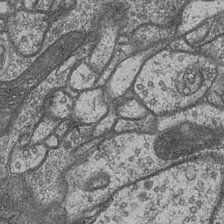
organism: Drosophila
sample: Optic medulla